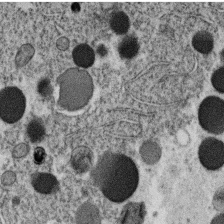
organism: C. elegans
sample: C. elegans oocyte; sperm cells